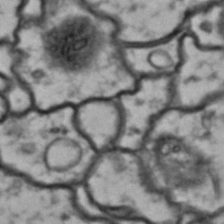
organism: Drosophila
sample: Brain